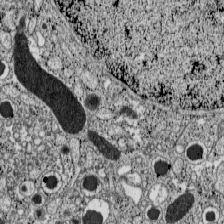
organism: C57BL Mouse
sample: Pancreatic islet